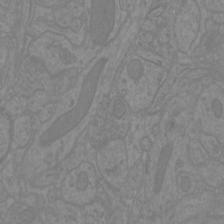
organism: Mouse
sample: Cortical neurons